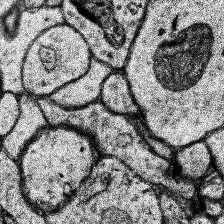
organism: Human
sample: Temporal Lobe